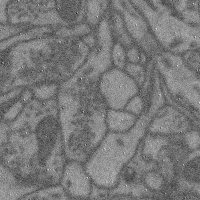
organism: Mouse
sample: Cerebral cortex